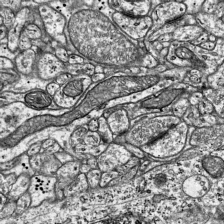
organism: Mouse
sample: Visual Cortex